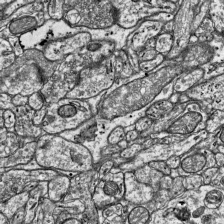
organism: Mouse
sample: Visual Cortex